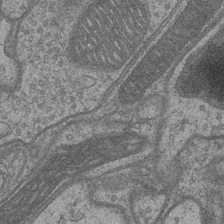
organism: Drosophila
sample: Optic medulla